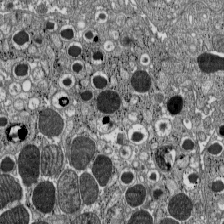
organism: C57BL Mouse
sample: Pancreatic islet